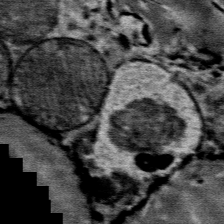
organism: Mouse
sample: Mouse Salivary gland